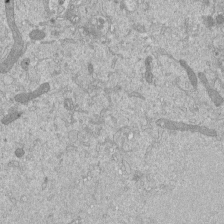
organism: Mouse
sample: ED-1 cell nuclei; centrioles